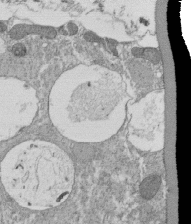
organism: Tetrahymena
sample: Cilia in tetrahymena